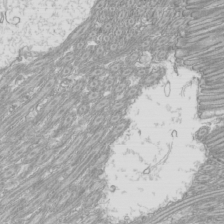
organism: Mouse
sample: Cilia; mouse epididymis